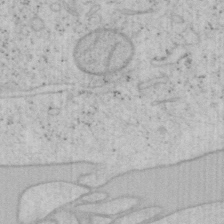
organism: Human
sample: HeLa cells